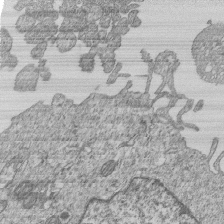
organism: Human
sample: MDA-MB-231 cells